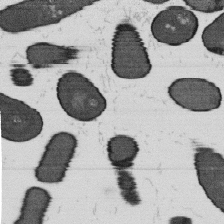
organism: B. subtilis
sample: Bacterial spore